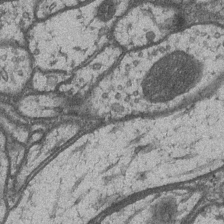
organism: Drosophila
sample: Optic medulla